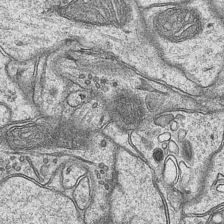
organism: Mouse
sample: CA1 Hippocampus